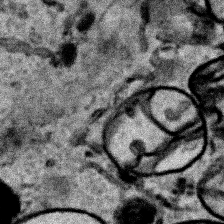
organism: Human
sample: Mitochondria in HCT116 cells